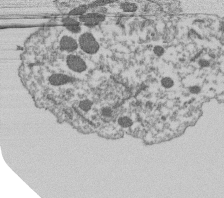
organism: Dictyostelium discoideum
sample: Dictyostelium multivesicular bodies